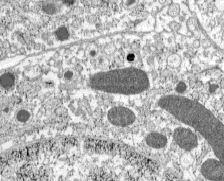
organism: C57BL Mouse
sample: Pancreatic islet